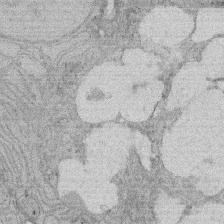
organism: Rat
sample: Salivary granule